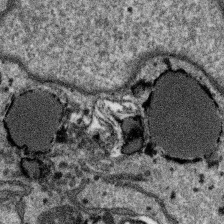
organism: Human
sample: Lung epithelial cells infected with SARS-CoV-2